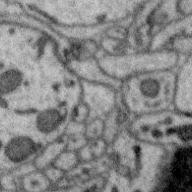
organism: Zebra finch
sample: Brain